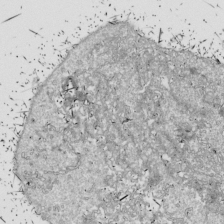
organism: Drosophila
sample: Cell division; meiosis; drosophila spermatocytes